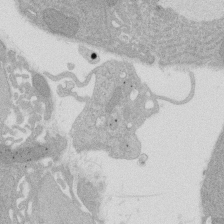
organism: Rat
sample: Salivary granule